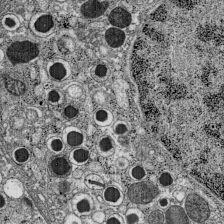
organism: C57BL Mouse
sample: Pancreatic islet